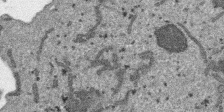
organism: Human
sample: Lung epithelial cells infected with SARS-CoV-2